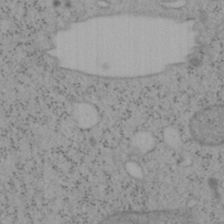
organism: Mouse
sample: OT-I killer T cells with ID8 ovarian cancer cells